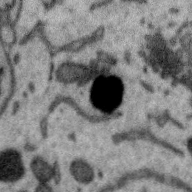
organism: Zebra finch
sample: Brain